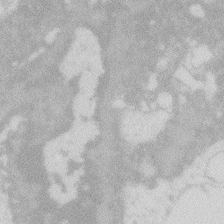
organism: Zebrafish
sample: Macrophage